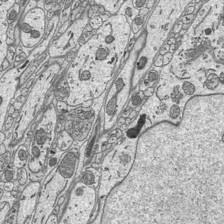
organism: Mouse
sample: Suprachiasmatic nucleus